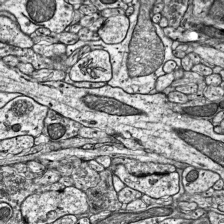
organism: Mouse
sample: Visual Cortex